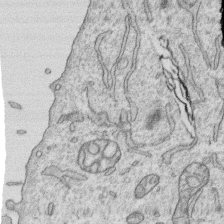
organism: Human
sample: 1205lu cells